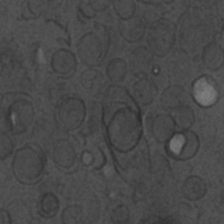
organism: C. elegans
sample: C. elegans embryo